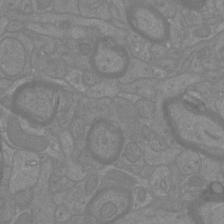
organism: Mouse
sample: Cortical neurons